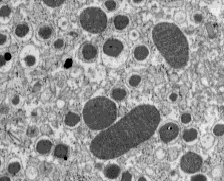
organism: C57BL Mouse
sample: Pancreatic islet